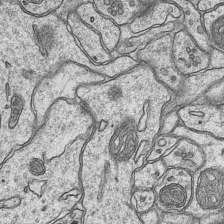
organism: Mouse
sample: CA1 Hippocampus